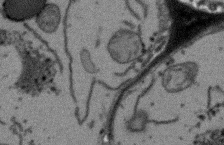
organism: Arabidopsis thaliana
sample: Root tip